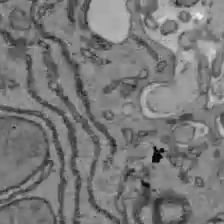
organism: C57BL Mouse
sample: Liver